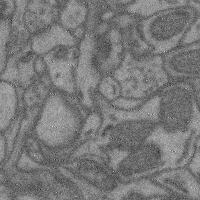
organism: Mouse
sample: Cerebral cortex